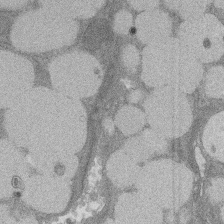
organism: Rat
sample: Salivary granule